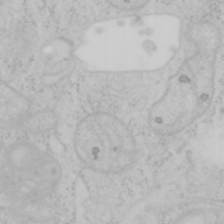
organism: Mouse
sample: OT-I killer T cells with ID8 ovarian cancer cells